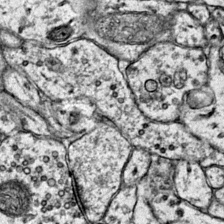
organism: Mouse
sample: Primary visual cortex